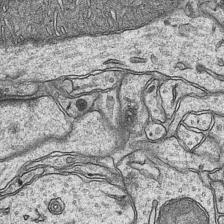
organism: Mouse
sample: CA1 Hippocampus